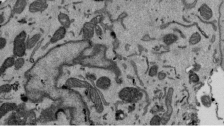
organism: Mouse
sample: ED-1 cell nuclei; centrioles